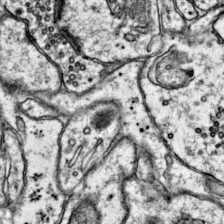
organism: Mouse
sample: Primary visual cortex